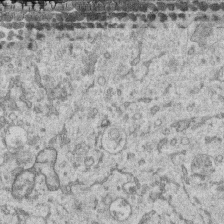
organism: Human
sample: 1205lu cells